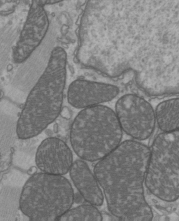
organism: C57BL Mouse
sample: Heart